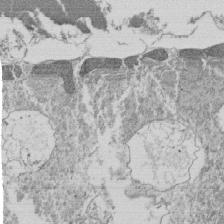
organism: Tetrahymena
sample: Cilia in tetrahymena